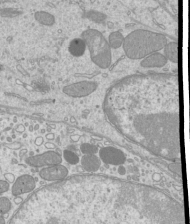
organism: Mouse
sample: Cilia; mouse epididymis